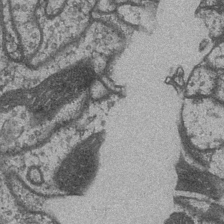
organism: Drosophila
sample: Optic medulla